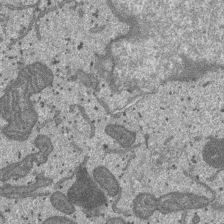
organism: Human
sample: Lung epithelial cells infected with SARS-CoV-2